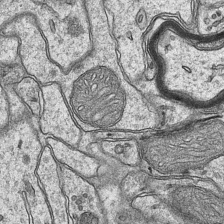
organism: Mouse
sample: CA1 Hippocampus